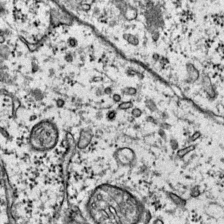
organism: Mouse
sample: Primary visual cortex